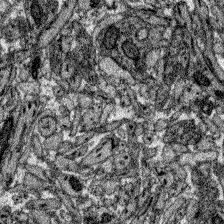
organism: Zebrafish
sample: Larval olfactory bulb